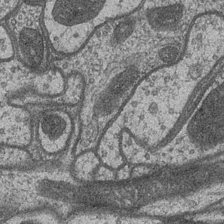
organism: Drosophila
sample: Optic medulla